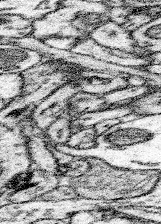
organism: Mouse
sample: Somatosensory cortex neuropil